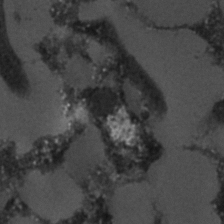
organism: C. elegans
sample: C. elegans embryo